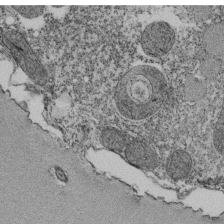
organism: Tetrahymena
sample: Cilia in tetrahymena